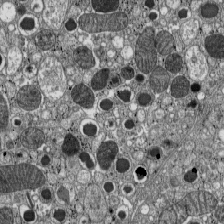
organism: C57BL Mouse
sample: Pancreatic islet